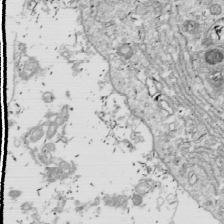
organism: Drosophila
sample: Cell division; meiosis; drosophila spermatocytes